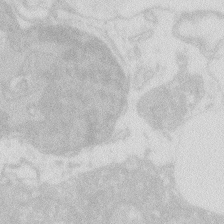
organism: Zebrafish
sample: Macrophage